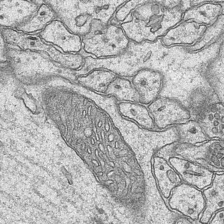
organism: Mouse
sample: CA1 Hippocampus